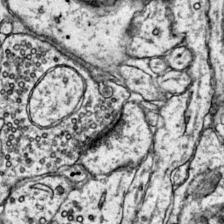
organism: Mouse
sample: Primary visual cortex